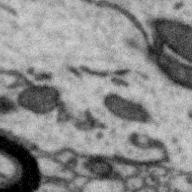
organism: Zebra finch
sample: Brain